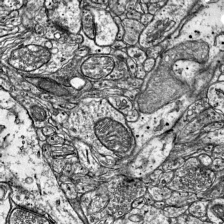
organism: Mouse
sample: Visual Cortex